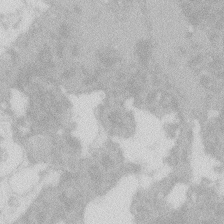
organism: Zebrafish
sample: Macrophage